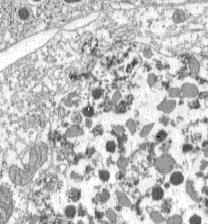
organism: C57BL Mouse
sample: Pancreatic islet